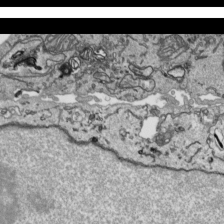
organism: Human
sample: Mitochondria in HCT116 cells